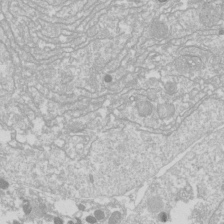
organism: Drosophila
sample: Cell division; meiosis; drosophila spermatocytes